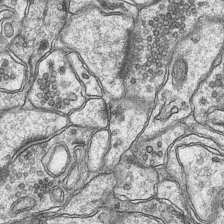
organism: Mouse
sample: CA1 Hippocampus